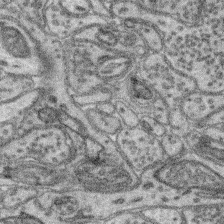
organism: Mouse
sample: Retina